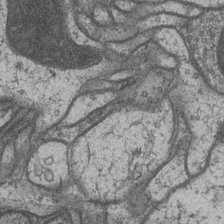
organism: Drosophila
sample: Optic medulla